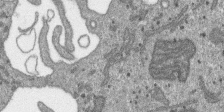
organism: Human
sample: Lung epithelial cells infected with SARS-CoV-2